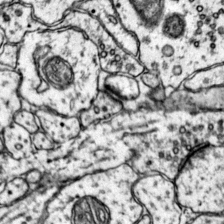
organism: Mouse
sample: Primary visual cortex